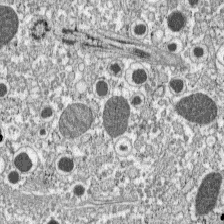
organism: C57BL Mouse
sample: Pancreatic islet